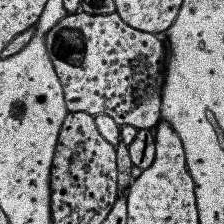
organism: Human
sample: Temporal Lobe